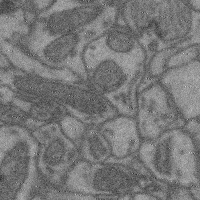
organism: Mouse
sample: Cerebral cortex